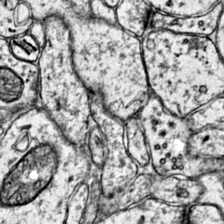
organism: Mouse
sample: Primary visual cortex